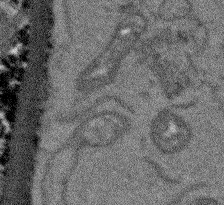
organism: Arabidopsis thaliana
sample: Root tip